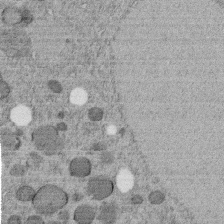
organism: C. elegans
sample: C. elegans embryo early stage